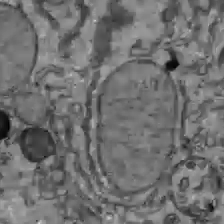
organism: C57BL Mouse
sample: Liver